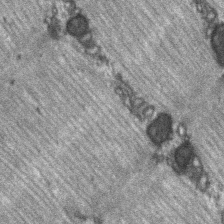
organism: C57BL Mouse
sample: Soleus